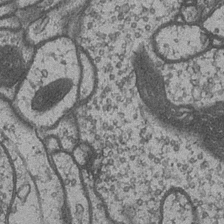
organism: Drosophila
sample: Optic medulla